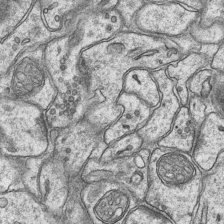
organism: Mouse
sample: CA1 Hippocampus